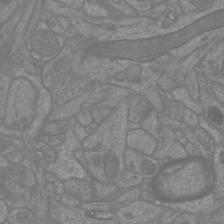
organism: Mouse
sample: Cortical neurons